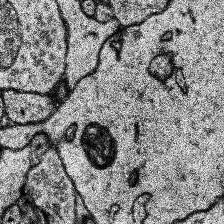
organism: Human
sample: Temporal Lobe